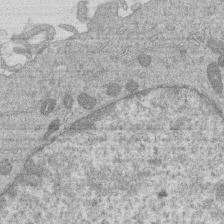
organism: Human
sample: Macrophage cells